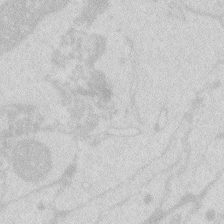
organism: Zebrafish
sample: Macrophage